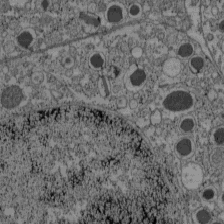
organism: C57BL Mouse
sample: Pancreatic islet